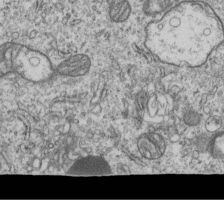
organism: Human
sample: MDA-MB-231 cells